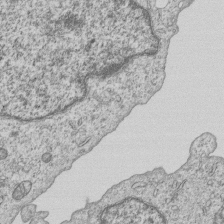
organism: Human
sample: MDA-MB-231 cells